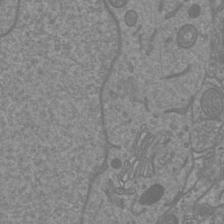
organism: Mouse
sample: Cortical neurons